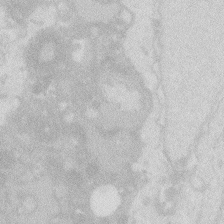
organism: Zebrafish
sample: Macrophage